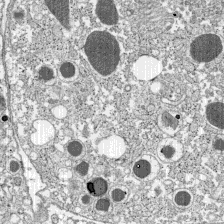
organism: C57BL Mouse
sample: Pancreatic islet